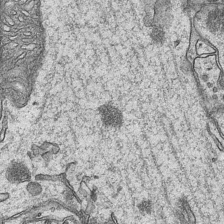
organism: Mouse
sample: CA1 Hippocampus